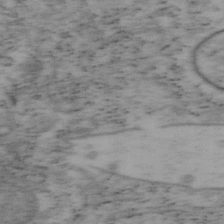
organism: Mouse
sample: OT-I killer T cells with ID8 ovarian cancer cells